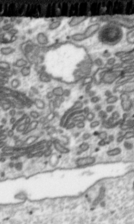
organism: Toxoplasma gondii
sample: Parasites in a vacuole inside a host cell